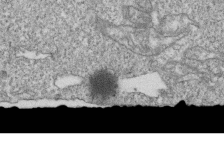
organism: Human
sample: HeLa cell HIV synapse